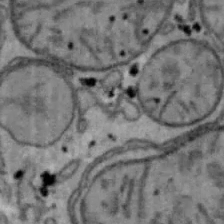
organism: Mouse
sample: Liver